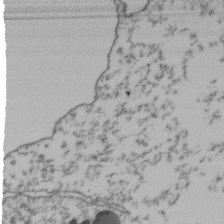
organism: Human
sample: Activated Jurkat CD4+ T cells